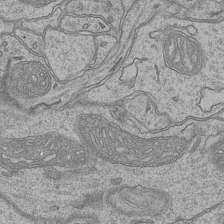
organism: Mouse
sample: CA1 Hippocampus